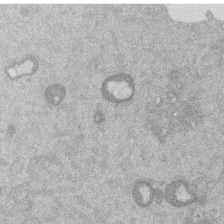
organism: Mouse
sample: Dividing mouse embryo 1 cell stage